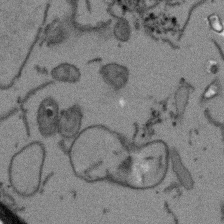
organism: Arabidopsis thaliana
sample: Root tip